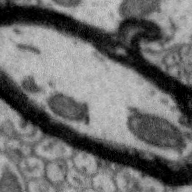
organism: Zebra finch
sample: Brain